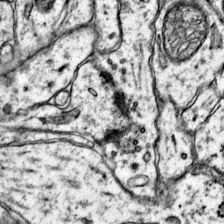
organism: Mouse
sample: Primary visual cortex